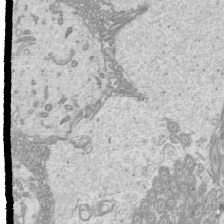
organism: Mouse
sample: Cilia; mouse epididymis